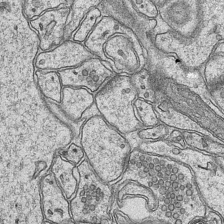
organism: Mouse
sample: CA1 Hippocampus